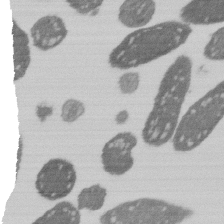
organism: E. coli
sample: Bacterial nucleoid